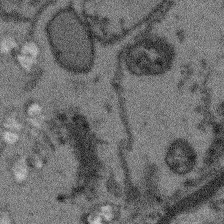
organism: Arabidopsis thaliana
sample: Root tip